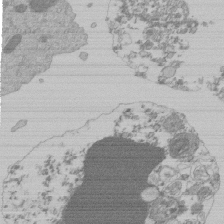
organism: Mouse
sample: Activated Pmel transgenic CD8+ T Cells